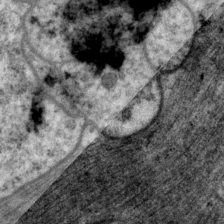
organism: P. pacificus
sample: Pharynx